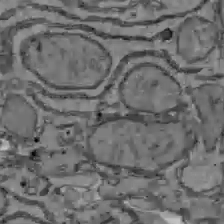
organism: C57BL Mouse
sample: Liver